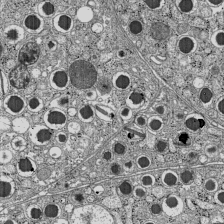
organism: C57BL Mouse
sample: Pancreatic islet